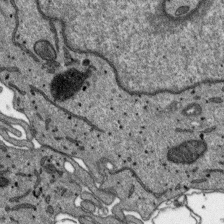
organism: Human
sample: Lung epithelial cells, uninfected (mock) control